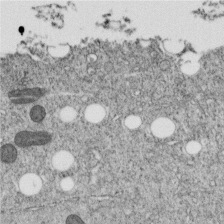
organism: C. elegans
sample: C. elegans embryo early stage